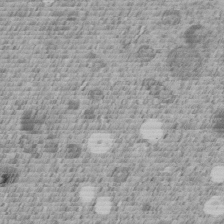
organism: C. elegans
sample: C. elegans embryo early stage